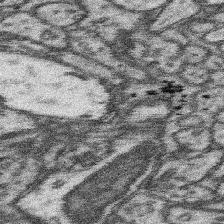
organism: Mouse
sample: Somatosensory cortex neuropil